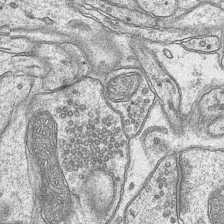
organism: Mouse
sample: CA1 Hippocampus